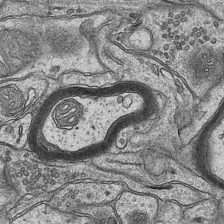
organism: Mouse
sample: CA1 Hippocampus